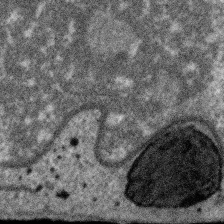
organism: Human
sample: Lung epithelial cells infected with SARS-CoV-2